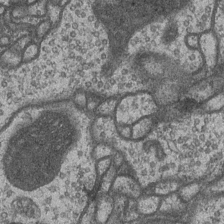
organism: Drosophila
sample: Optic medulla